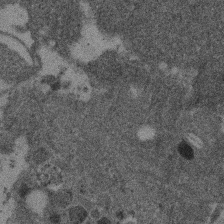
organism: Mouse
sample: Dividing mouse embryo 1 cell stage